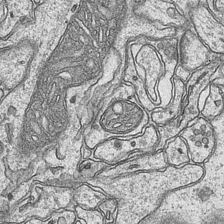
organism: Mouse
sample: CA1 Hippocampus